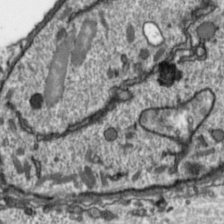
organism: Toxoplasma gondii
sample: Parasites in a vacuole inside a host cell